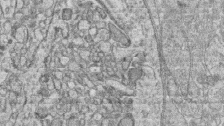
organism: Zebrafish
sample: synaptic ribbons in rod cells and cone cells